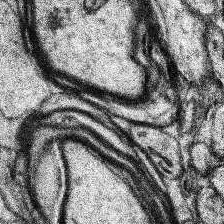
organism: Human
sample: Temporal Lobe